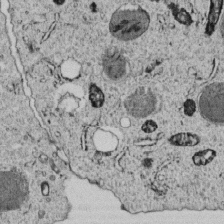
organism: C. elegans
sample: C. elegans embryo early stage